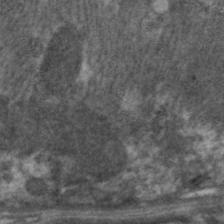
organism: C. elegans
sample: Pharynx